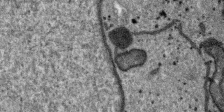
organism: Human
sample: Lung epithelial cells, uninfected (mock) control